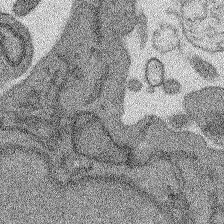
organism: Human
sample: HeLa cells